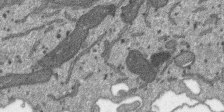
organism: Human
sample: Lung epithelial cells infected with SARS-CoV-2